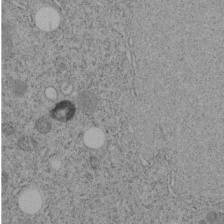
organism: C. elegans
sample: C. elegans embryo early stage